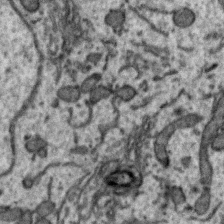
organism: Zebra finch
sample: Brain